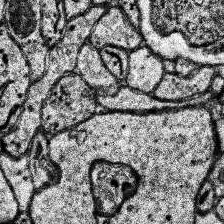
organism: Human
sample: Temporal Lobe